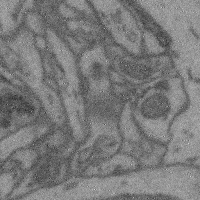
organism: Mouse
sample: Cerebral cortex